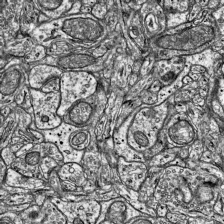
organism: Mouse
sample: Visual Cortex